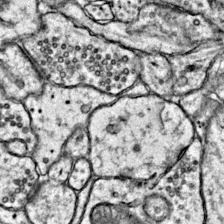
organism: Mouse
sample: Primary visual cortex